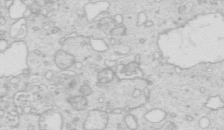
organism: Mouse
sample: Multiciliated cells